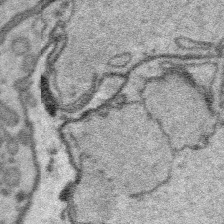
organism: Platynereis dumerilii